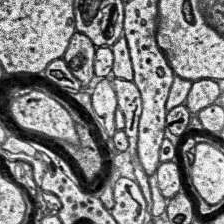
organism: Human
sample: Temporal Lobe